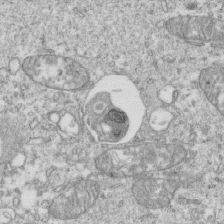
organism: Mouse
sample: Activated OT-1 CD8+ T cells